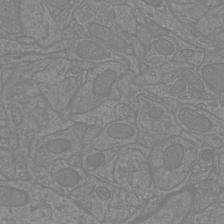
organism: Mouse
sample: Cortical neurons